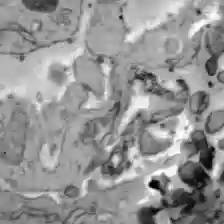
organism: C57BL Mouse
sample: Liver